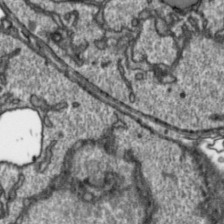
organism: Toxoplasma gondii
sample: Parasites in a vacuole inside a host cell